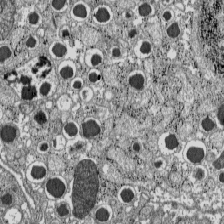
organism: C57BL Mouse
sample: Pancreatic islet